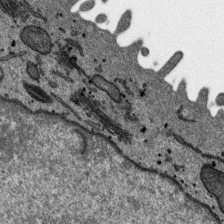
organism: Human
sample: Lung epithelial cells, uninfected (mock) control